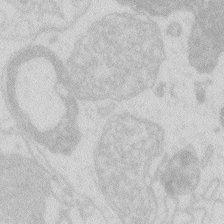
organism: Zebrafish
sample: Macrophage